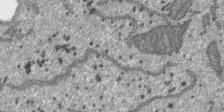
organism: Human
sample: Lung epithelial cells infected with SARS-CoV-2